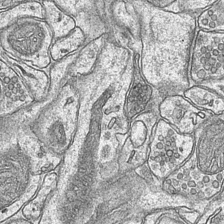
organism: Mouse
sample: CA1 Hippocampus